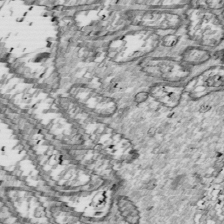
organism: Drosophila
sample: Cell division; meiosis; drosophila spermatocytes